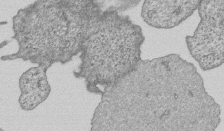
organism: Human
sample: MDA-MB-231 cells